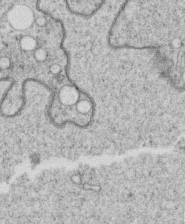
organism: C. elegans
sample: C. elegans oocyte; sperm cells